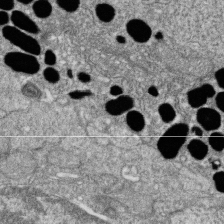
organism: Zebrafish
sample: Cilia; retinal pigment epithelium